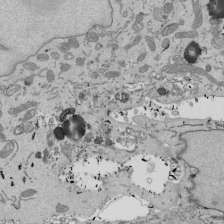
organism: Mouse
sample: ED-1 cell nuclei; centrioles